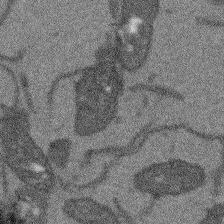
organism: Arabidopsis thaliana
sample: Root tip